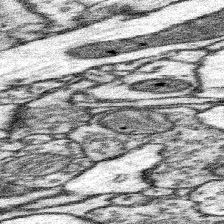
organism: Mouse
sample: Somatosensory cortex neuropil